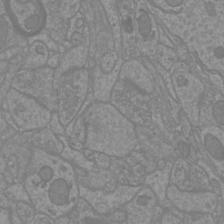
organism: Mouse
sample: Cortical neurons